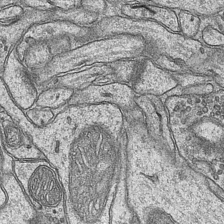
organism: Mouse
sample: CA1 Hippocampus